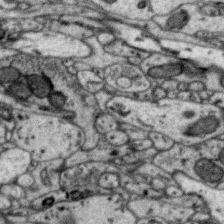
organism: Zebra finch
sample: Brain